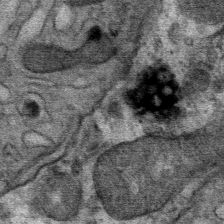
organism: Mouse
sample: Mouse Salivary gland